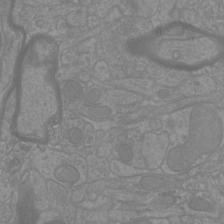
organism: Mouse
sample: Cortical neurons